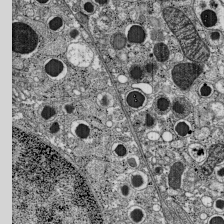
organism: C57BL Mouse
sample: Pancreatic islet